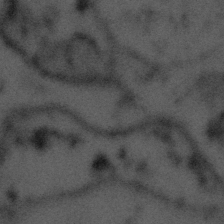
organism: Tuwongella immobilis